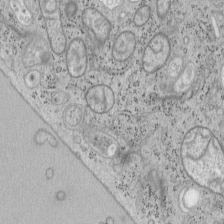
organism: Mouse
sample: OT-I killer T cells with ID8 ovarian cancer cells